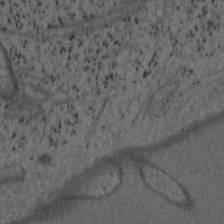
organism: Human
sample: HeLa cells